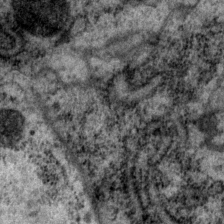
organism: P. pacificus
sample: Pharynx